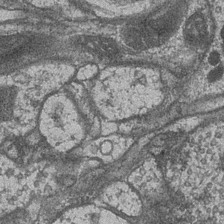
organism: Drosophila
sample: Optic medulla